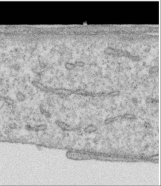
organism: Human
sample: Centriole in RPE cells